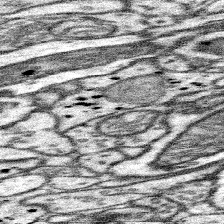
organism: Mouse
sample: Somatosensory cortex neuropil